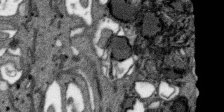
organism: Human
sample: Lung epithelial cells, uninfected (mock) control